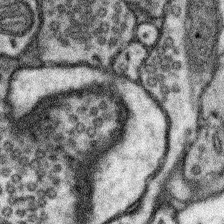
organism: Mouse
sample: Somatosensory cortex neuropil